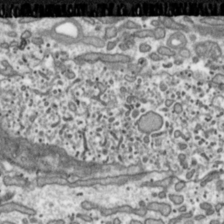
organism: Toxoplasma gondii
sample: Parasites in a vacuole inside a host cell